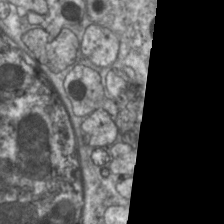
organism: C. elegans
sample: Pharynx